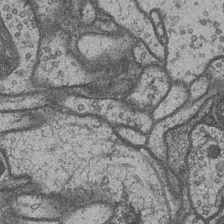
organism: Drosophila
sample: Optic medulla